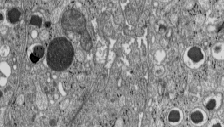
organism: C57BL Mouse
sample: Pancreatic islet